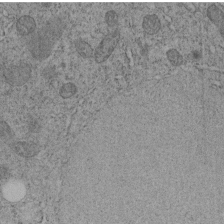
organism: C. elegans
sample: C. elegans embryo early stage